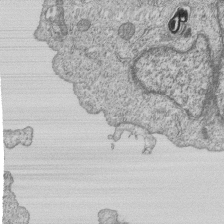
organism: Human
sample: MDA-MB-231 cells